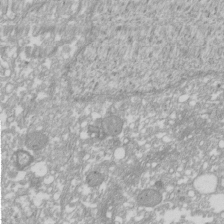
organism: Xenopus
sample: Cilia; centrioles in frog embryo cells